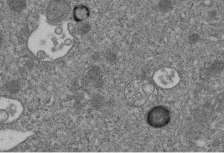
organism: C. elegans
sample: C. elegans embryo early stage